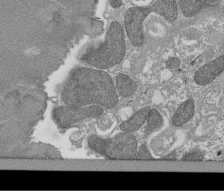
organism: Tetrahymena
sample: Cilia in tetrahymena